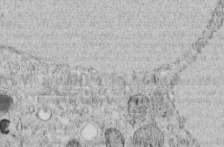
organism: C. elegans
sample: C. elegans embryo early stage